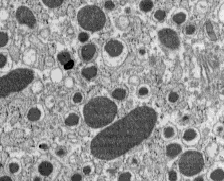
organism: C57BL Mouse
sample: Pancreatic islet